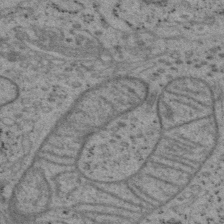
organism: Human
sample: HeLa cells